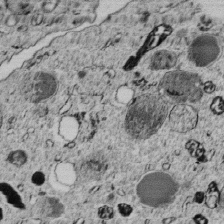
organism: C. elegans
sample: C. elegans embryo early stage